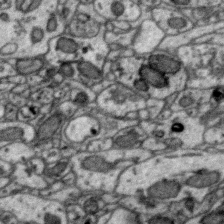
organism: Zebra finch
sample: Brain